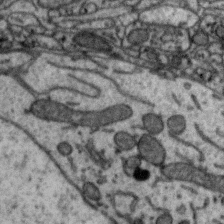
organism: Zebra finch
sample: Brain